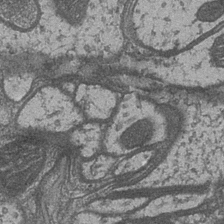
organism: Drosophila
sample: Optic medulla